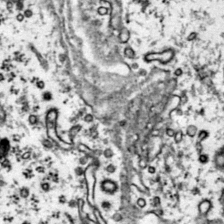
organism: Mouse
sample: Primary visual cortex